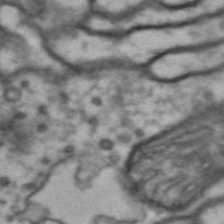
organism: Drosophila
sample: Brain